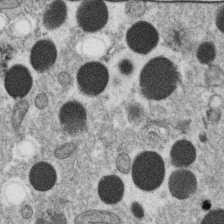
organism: C. elegans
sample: C. elegans oocyte; sperm cells